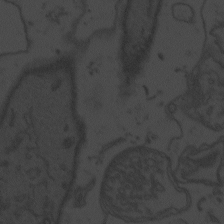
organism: Zebrafish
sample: Macrophage infected with Toxoplasma gondii